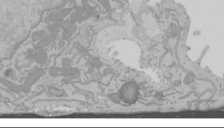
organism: Mouse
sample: Cancer cell death in ED-1 cells